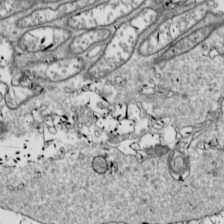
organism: Drosophila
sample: Cell division; meiosis; drosophila spermatocytes